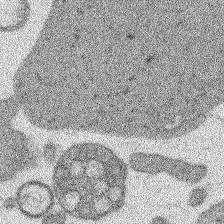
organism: Human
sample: HeLa cells